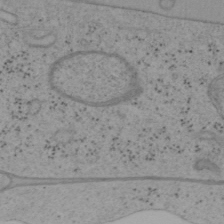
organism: Human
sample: HeLa cells